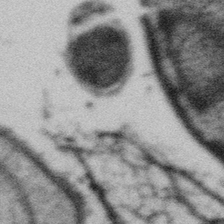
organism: Gemmata obscuriglobus